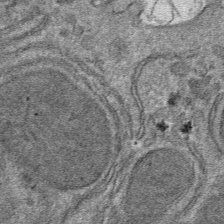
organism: Mouse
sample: Mouse hepatocytes